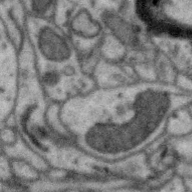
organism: Zebra finch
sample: Brain